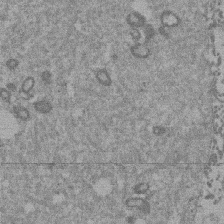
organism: Mouse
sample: Dividing mouse embryo 1 cell stage